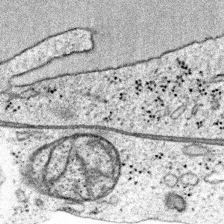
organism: Human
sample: HeLa cells